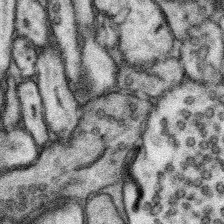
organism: Mouse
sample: Somatosensory cortex neuropil